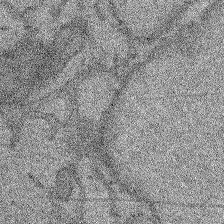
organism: Human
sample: HeLa cells